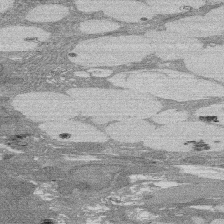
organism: Rat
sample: Salivary granule